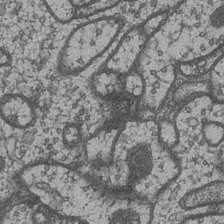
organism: Drosophila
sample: Optic medulla